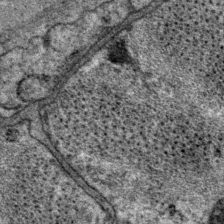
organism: P. pacificus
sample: Pharynx